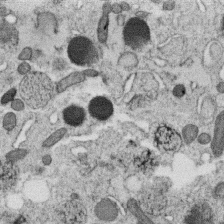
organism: C. elegans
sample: C. elegans oocyte; sperm cells